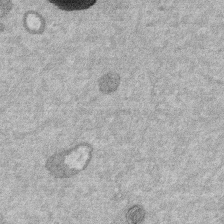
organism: Mouse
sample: Dividing mouse embryo 1 cell stage